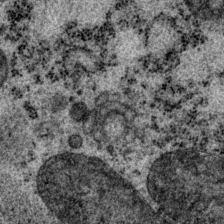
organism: P. pacificus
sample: Pharynx